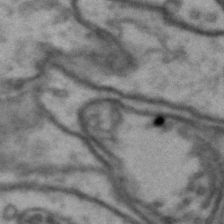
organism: Drosophila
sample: Brain